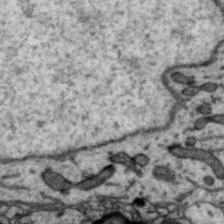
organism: Zebra finch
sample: Brain